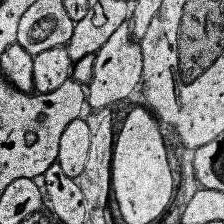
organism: Human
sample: Temporal Lobe